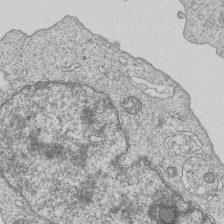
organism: Human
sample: MDA-MB-231 cells